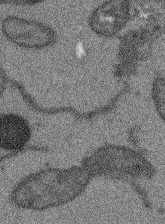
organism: Arabidopsis thaliana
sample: Root tip